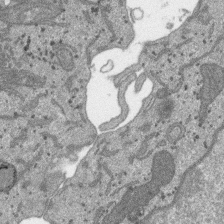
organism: Human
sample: Lung epithelial cells infected with SARS-CoV-2